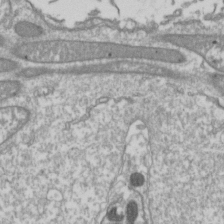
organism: Drosophila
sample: Cell division; meiosis; drosophila spermatocytes